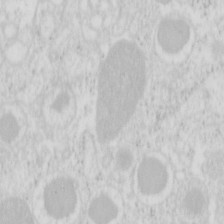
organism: Mouse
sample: Pancreas